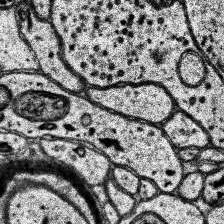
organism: Human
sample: Temporal Lobe